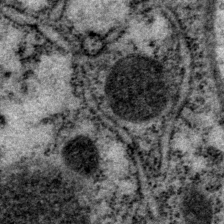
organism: P. pacificus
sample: Pharynx